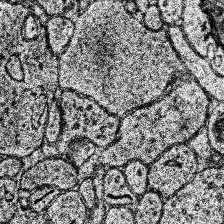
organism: Human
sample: Temporal Lobe